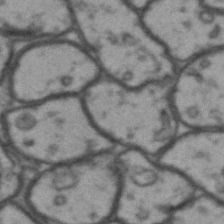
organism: Drosophila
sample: Brain